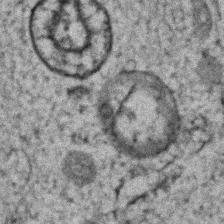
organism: Zebrafish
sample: Zebrafish embryo